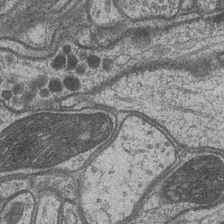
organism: Drosophila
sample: Optic medulla